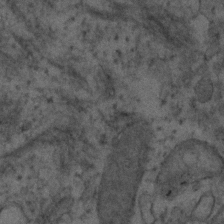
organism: Human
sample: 1205lu cells